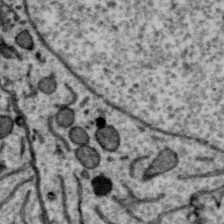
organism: Zebra finch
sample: Brain